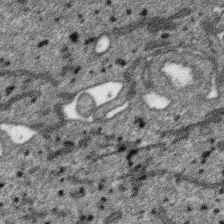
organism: Human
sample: Lung epithelial cells infected with SARS-CoV-2